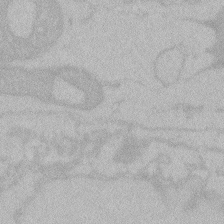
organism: Zebrafish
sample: Macrophage infected with Toxoplasma gondii